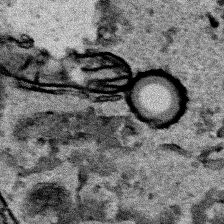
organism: Human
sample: Mitochondria in HCT116 cells